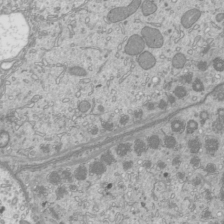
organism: Mouse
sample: Cilia; mouse epididymis